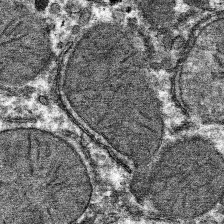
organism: Mouse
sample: Mouse hepatocytes